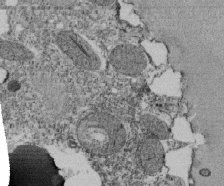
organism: Tetrahymena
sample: Cilia in tetrahymena